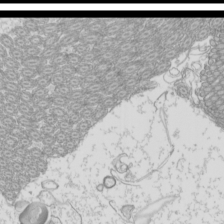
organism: Mouse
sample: Cilia; mouse epididymis